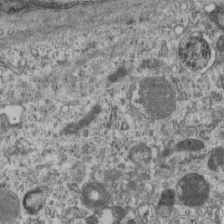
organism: Mouse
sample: Centriole in ependymal cells